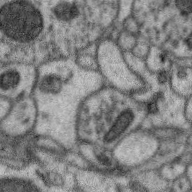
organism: Zebra finch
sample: Brain